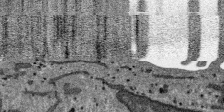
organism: Human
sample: Lung epithelial cells, uninfected (mock) control